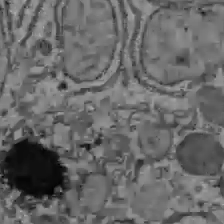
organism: C57BL Mouse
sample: Liver